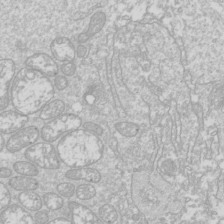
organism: Drosophila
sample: Cell division; meiosis; drosophila spermatocytes